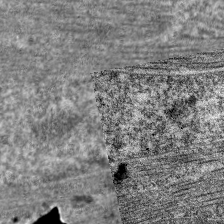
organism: C. elegans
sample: Pharynx